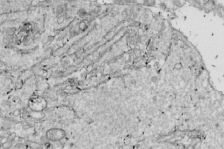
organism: Drosophila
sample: Cell division; meiosis; drosophila spermatocytes